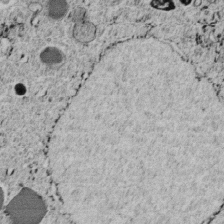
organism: C. elegans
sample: C. elegans embryo early stage